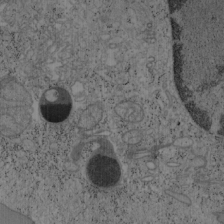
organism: Mouse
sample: OT-I killer T cells with ID8 ovarian cancer cells